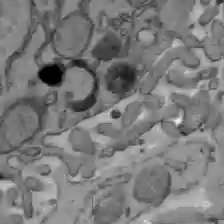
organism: C57BL Mouse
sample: Liver